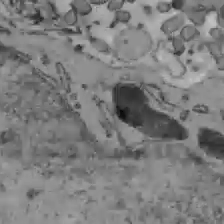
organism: C57BL Mouse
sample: Liver